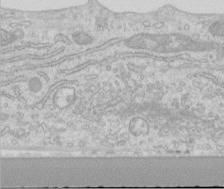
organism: Human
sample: Centriole in RPE cells